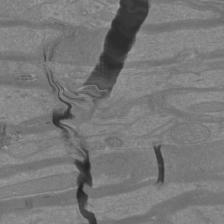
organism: Mouse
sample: Cortical neurons